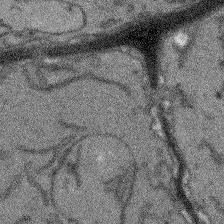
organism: Arabidopsis thaliana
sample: Root tip